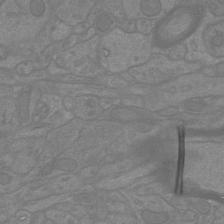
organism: Mouse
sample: Cortical neurons